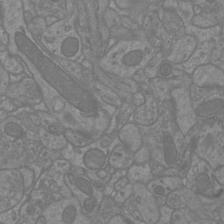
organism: Mouse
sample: Cortical neurons